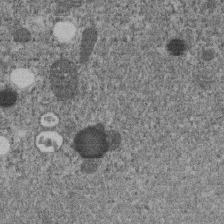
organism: C. elegans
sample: C. elegans embryo early stage